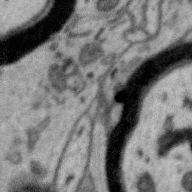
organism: Zebra finch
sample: Brain